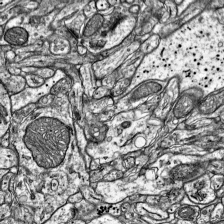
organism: Mouse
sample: Visual Cortex